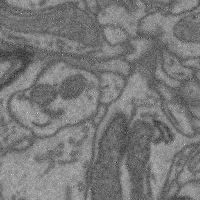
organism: Mouse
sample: Cerebral cortex